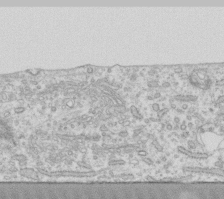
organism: Human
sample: Fibroblast cells